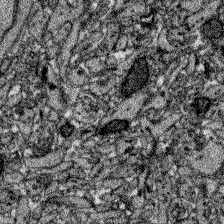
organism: Zebrafish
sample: Larval olfactory bulb